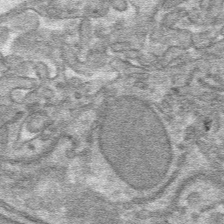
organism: Mouse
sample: Mouse hepatocytes